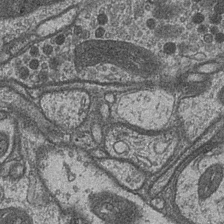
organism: Drosophila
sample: Optic medulla